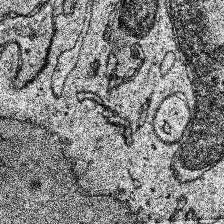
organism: Human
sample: Temporal Lobe